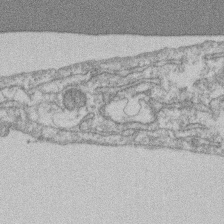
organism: Mouse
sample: T cell stromal cell synapse